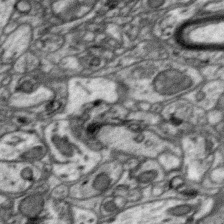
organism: Zebra finch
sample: Brain